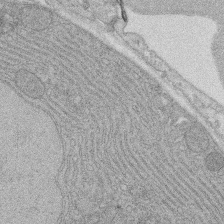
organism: Rat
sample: Salivary granule